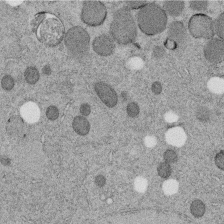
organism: C. elegans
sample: C. elegans embryo early stage